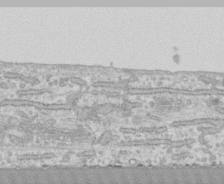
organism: Human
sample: CRL-1474